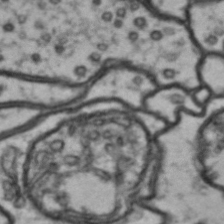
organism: Drosophila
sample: Brain